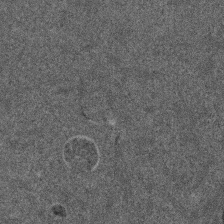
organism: Mouse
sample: Dividing mouse embryo 1 cell stage